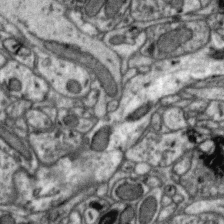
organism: Zebra finch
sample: Brain